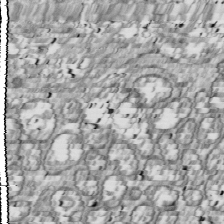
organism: Drosophila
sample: Cell division; meiosis; drosophila spermatocytes